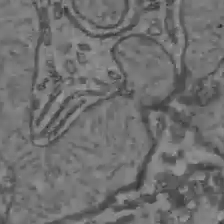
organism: C57BL Mouse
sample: Liver